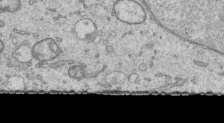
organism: Human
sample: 1205lu cells